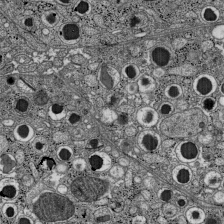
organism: C57BL Mouse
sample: Pancreatic islet